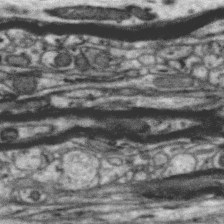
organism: Zebra finch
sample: Brain